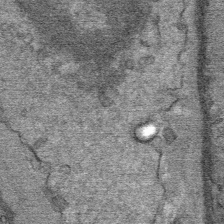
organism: Mouse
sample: Mouse Salivary gland